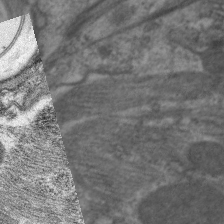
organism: C. elegans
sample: Pharynx